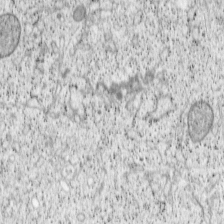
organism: African green monkey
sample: COS-7 cells